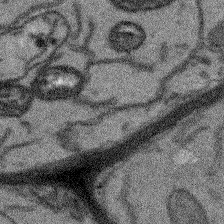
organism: Arabidopsis thaliana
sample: Root tip